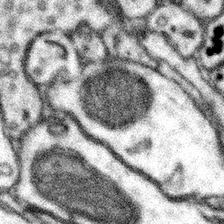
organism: Mouse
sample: Somatosensory cortex neuropil